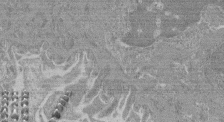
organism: Mouse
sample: Glomerulus